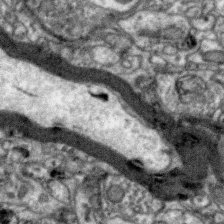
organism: Zebra finch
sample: Brain